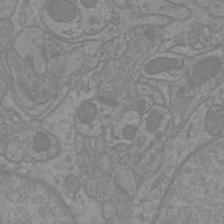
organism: Mouse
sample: Cortical neurons